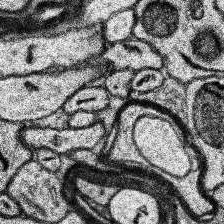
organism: Human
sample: Temporal Lobe